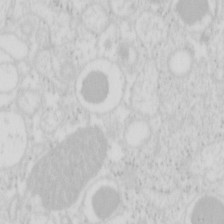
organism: Mouse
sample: Pancreas